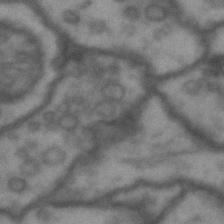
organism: Drosophila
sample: Brain